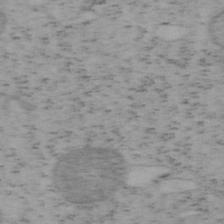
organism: Mouse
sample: OT-I killer T cells with ID8 ovarian cancer cells